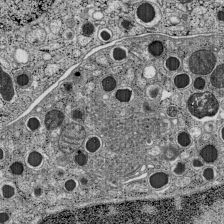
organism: C57BL Mouse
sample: Pancreatic islet